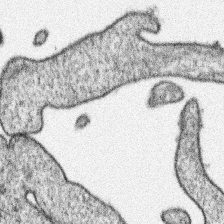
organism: Human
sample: HeLa cells